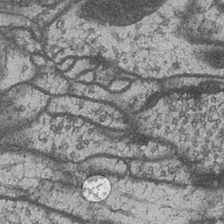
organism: Drosophila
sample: Optic medulla